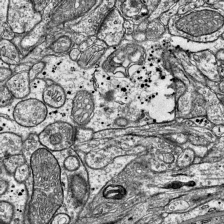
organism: Mouse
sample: Visual Cortex